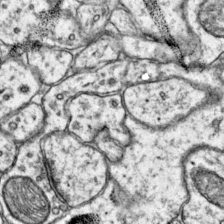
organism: Mouse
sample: Primary visual cortex